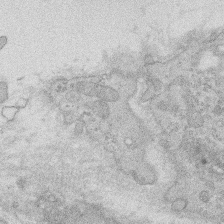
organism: Rat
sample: Salivary granule